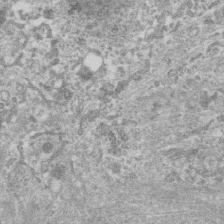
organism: Human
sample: Centriole in RPE cells